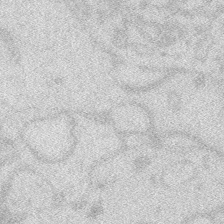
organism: Zebrafish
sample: Macrophage